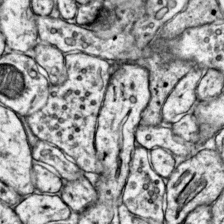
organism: Mouse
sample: Primary visual cortex